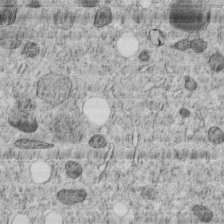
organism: C. elegans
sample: C. elegans embryo early stage